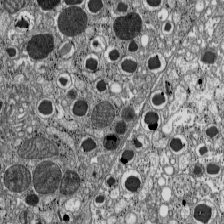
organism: C57BL Mouse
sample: Pancreatic islet